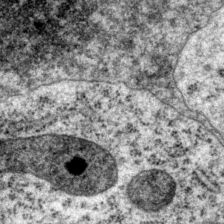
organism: P. pacificus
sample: Pharynx